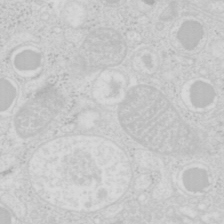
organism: Mouse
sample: Pancreas